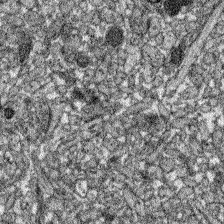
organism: Zebrafish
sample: Larval olfactory bulb